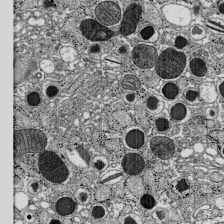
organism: C57BL Mouse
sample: Pancreatic islet